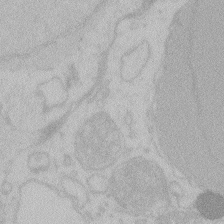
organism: Zebrafish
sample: Macrophage infected with Toxoplasma gondii